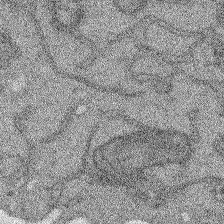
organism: Human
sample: HeLa cells